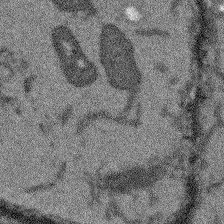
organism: Arabidopsis thaliana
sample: Root tip